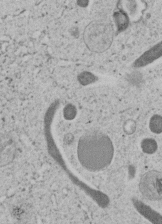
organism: C. elegans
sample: C. elegans embryo early stage